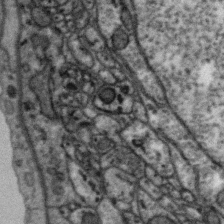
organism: Zebra finch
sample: Brain